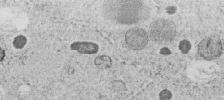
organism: C. elegans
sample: C. elegans embryo early stage